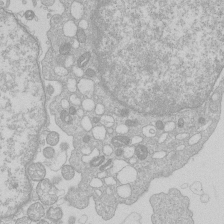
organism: Human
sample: Macrophage cells